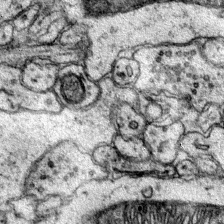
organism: Mouse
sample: Primary visual cortex